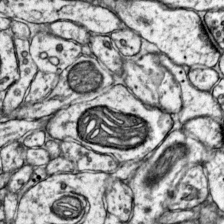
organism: Mouse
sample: Primary visual cortex